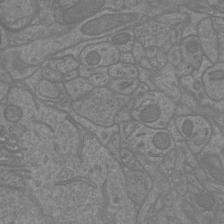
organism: Mouse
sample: Cortical neurons